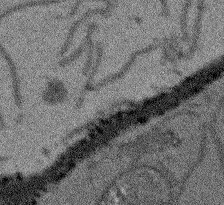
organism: Arabidopsis thaliana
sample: Root tip